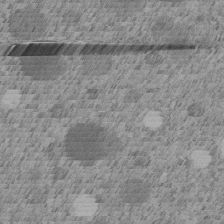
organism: C. elegans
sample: C. elegans embryo early stage